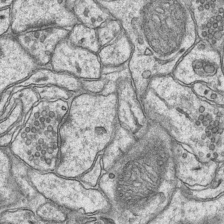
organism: Mouse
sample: CA1 Hippocampus